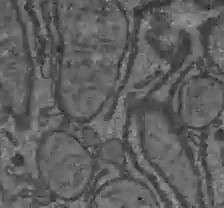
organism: C57BL Mouse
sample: Liver